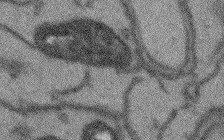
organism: Arabidopsis thaliana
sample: Root tip